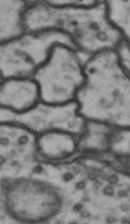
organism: Drosophila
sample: Brain